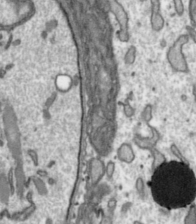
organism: Toxoplasma gondii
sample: Parasites in a vacuole inside a host cell